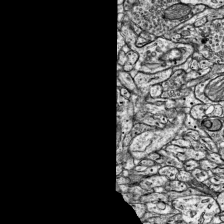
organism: Mouse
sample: Visual Cortex